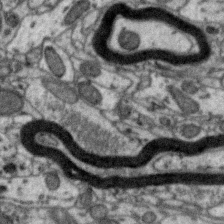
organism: Zebra finch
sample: Brain